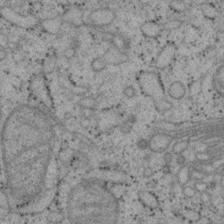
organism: Human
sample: HeLa cells